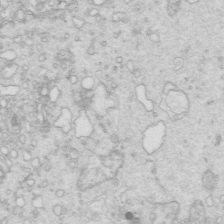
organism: Mouse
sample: Multiciliated cells